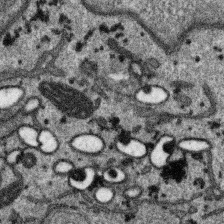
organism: Human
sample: Lung epithelial cells infected with SARS-CoV-2